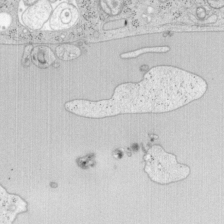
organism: Mouse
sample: OT-I killer T cells with ID8 ovarian cancer cells